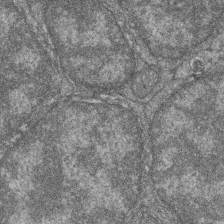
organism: Zebrafish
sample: Cilia; retinal pigment epithelium